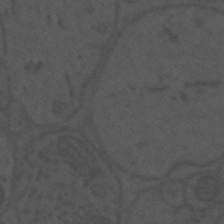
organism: Mouse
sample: Suprachiasmatic nucleus